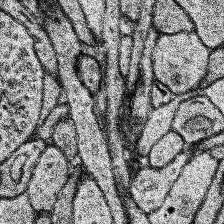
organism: Human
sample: Temporal Lobe